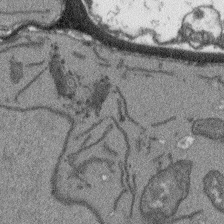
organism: Arabidopsis thaliana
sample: Root tip